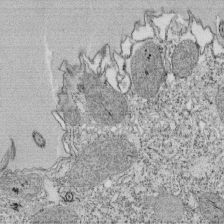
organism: Tetrahymena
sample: Cilia in tetrahymena